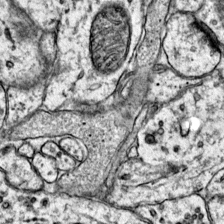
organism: Mouse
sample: Primary visual cortex